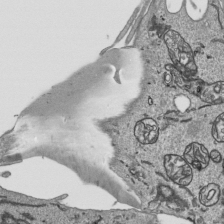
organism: Human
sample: Mitochondria in HCT116 cells